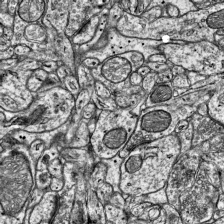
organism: Mouse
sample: Visual Cortex